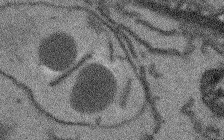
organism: Arabidopsis thaliana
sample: Root tip